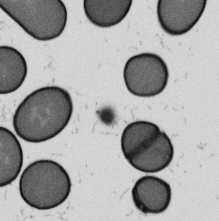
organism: B. subtilis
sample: Bacterial spore